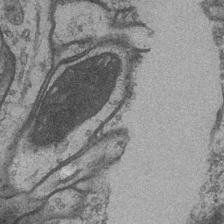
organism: Drosophila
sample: Optic medulla